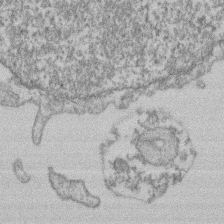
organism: Mouse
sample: T cell stromal cell synapse